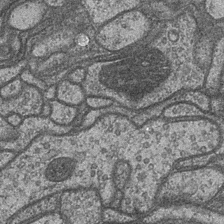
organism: Drosophila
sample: Optic medulla